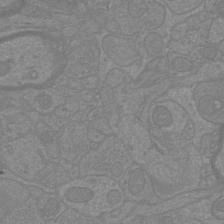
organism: Mouse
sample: Cortical neurons